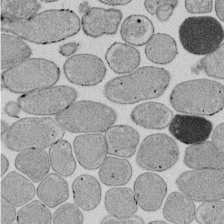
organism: E. coli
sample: Bacterial nucleoid